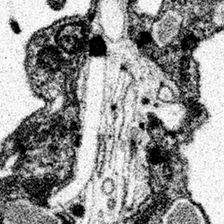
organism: Spongilla lacustris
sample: Neuroid cell